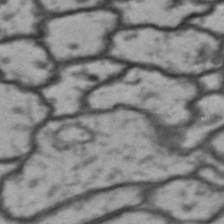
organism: Drosophila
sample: Brain